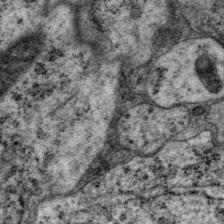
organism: P. pacificus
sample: Pharynx